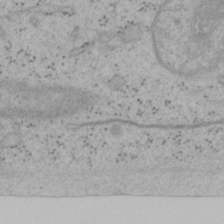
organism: Human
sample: HeLa cells